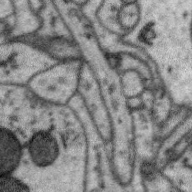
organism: Zebra finch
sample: Brain